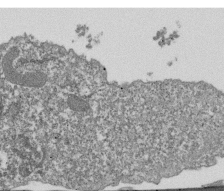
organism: Dictyostelium discoideum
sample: Dictyostelium multivesicular bodies